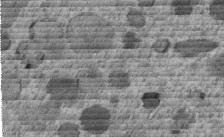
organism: C. elegans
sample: C. elegans embryo early stage